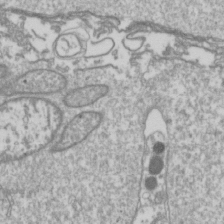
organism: Drosophila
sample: Cell division; meiosis; drosophila spermatocytes